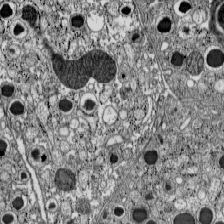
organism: C57BL Mouse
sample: Pancreatic islet